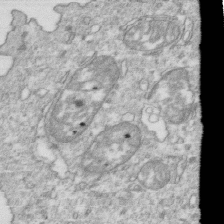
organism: Mouse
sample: Activated OT-1 CD8+ T cells